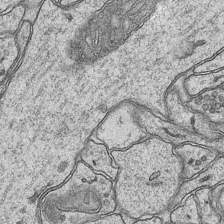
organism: Mouse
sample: CA1 Hippocampus